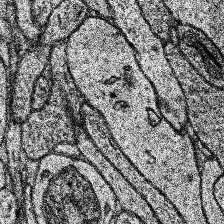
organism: Human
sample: Temporal Lobe